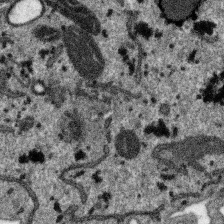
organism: Human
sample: Lung epithelial cells infected with SARS-CoV-2